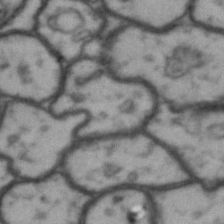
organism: Drosophila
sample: Brain